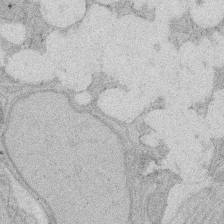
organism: Rat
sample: Salivary granule